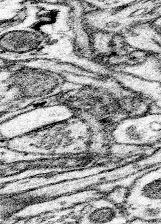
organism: Mouse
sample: Somatosensory cortex neuropil